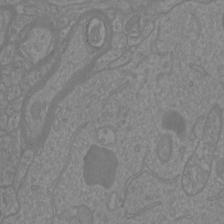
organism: Mouse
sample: Cortical neurons